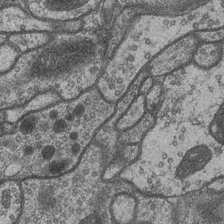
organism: Drosophila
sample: Optic medulla